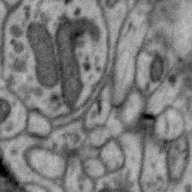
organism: Zebra finch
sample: Brain